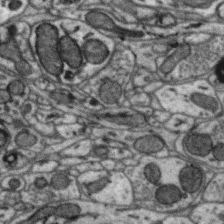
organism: Zebra finch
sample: Brain